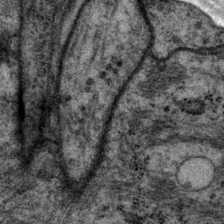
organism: P. pacificus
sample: Pharynx